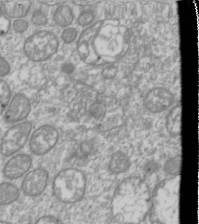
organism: Drosophila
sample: Cell division; meiosis; drosophila spermatocytes